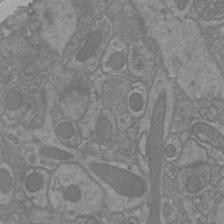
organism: Mouse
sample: Cortical neurons